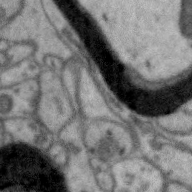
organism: Zebra finch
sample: Brain